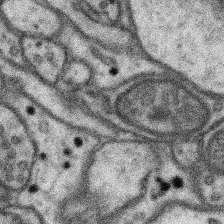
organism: Mouse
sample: Somatosensory cortex neuropil